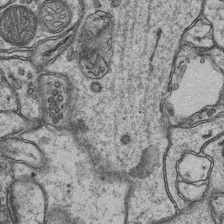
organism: Mouse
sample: CA1 Hippocampus